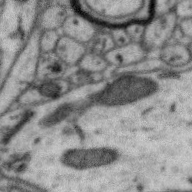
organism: Zebra finch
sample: Brain